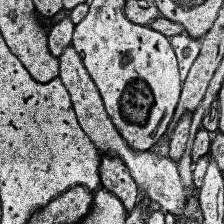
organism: Human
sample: Temporal Lobe